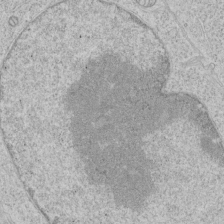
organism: Human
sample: Mitochondria in HCT116 cells